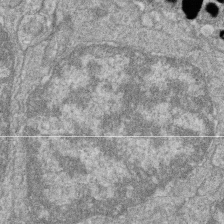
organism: Zebrafish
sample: Cilia; retinal pigment epithelium